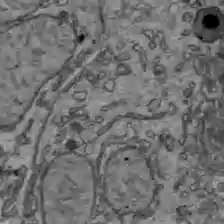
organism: C57BL Mouse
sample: Liver